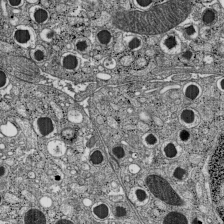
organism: C57BL Mouse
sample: Pancreatic islet